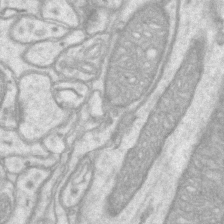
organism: Mouse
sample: CA1 Hippocampus